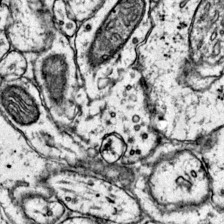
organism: Mouse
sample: Primary visual cortex